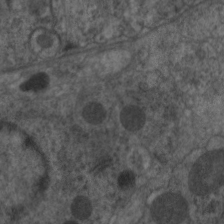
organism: C. elegans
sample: Pharynx